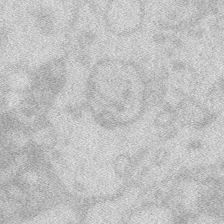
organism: Zebrafish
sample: Macrophage